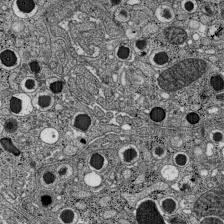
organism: C57BL Mouse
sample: Pancreatic islet